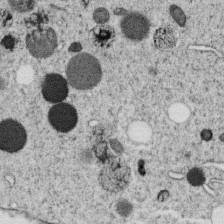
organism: C. elegans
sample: C. elegans oocyte; sperm cells